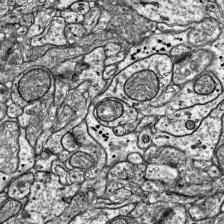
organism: Mouse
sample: Visual Cortex